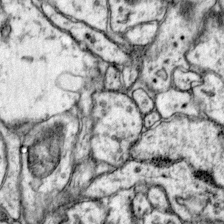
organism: Mouse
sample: Primary visual cortex